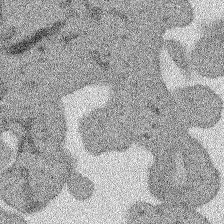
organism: Human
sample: HeLa cells